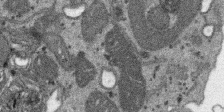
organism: Human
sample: Lung epithelial cells infected with SARS-CoV-2